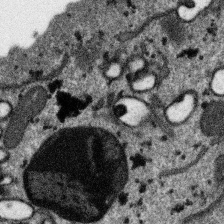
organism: Human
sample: Lung epithelial cells infected with SARS-CoV-2